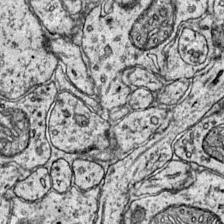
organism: Mouse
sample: Primary visual cortex